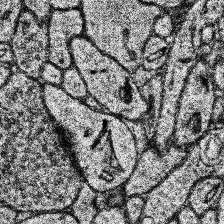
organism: Human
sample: Temporal Lobe